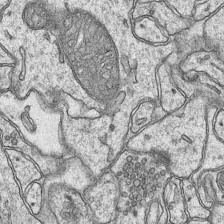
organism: Mouse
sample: CA1 Hippocampus